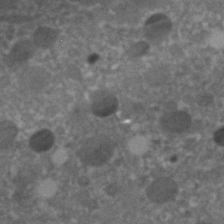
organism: C. elegans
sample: C. elegans embryo